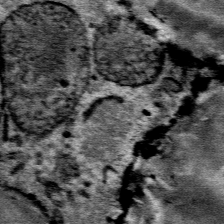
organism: Mouse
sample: Mouse Salivary gland